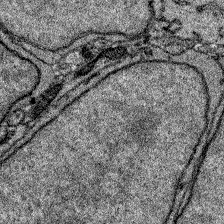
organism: Zebrafish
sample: Larval olfactory bulb